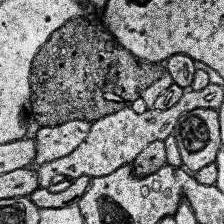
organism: Human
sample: Temporal Lobe